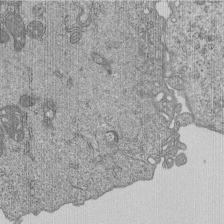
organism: Human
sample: MDA-MB-231 cells